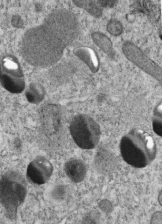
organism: C. elegans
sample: C. elegans embryo early stage